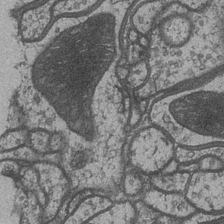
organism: Drosophila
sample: Optic medulla